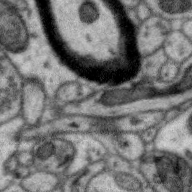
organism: Zebra finch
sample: Brain